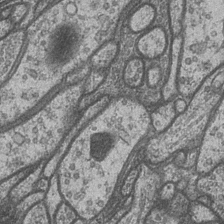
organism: Drosophila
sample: Optic medulla